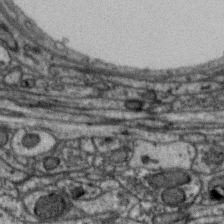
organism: Zebra finch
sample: Brain